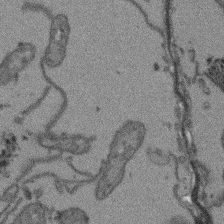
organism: Arabidopsis thaliana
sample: Root tip